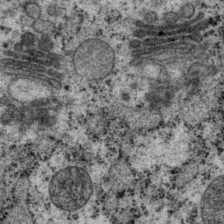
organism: P. pacificus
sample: Pharynx